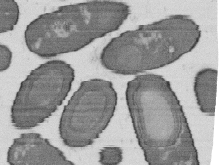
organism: B. subtilis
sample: Bacterial spore